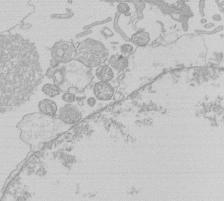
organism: Human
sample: Macrophage cells